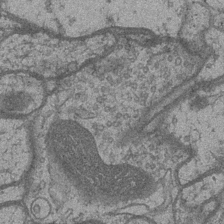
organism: Drosophila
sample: Optic medulla